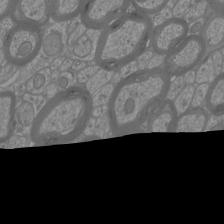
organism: Mouse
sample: Cortical neurons